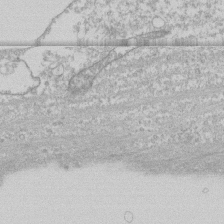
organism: Human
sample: CRL-1474